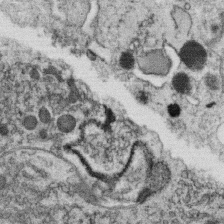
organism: C. elegans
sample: C. elegans oocyte; sperm cells